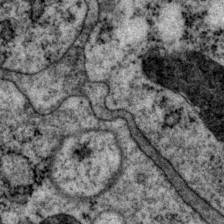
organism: P. pacificus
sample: Pharynx